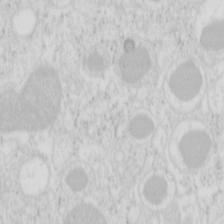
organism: Mouse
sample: Pancreas